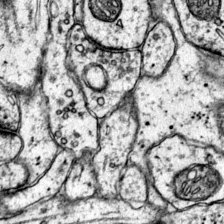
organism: Mouse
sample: Primary visual cortex